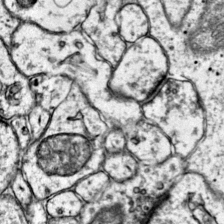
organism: Mouse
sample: Primary visual cortex